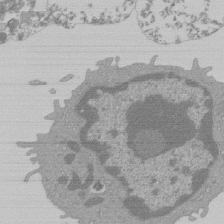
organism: Mouse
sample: Activated Pmel transgenic CD8+ T Cells